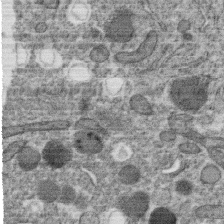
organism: C. elegans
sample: C. elegans oocyte; sperm cells